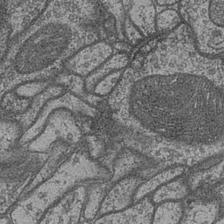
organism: Drosophila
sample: Optic medulla